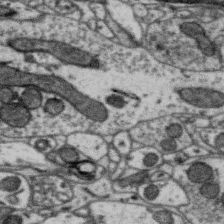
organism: Zebra finch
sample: Brain